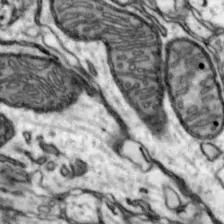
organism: Mouse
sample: Nucleus accumbens